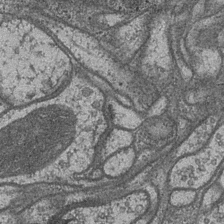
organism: Drosophila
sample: Optic medulla